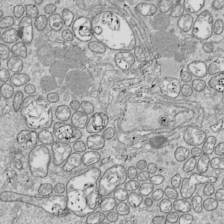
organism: Drosophila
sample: Cell division; meiosis; drosophila spermatocytes